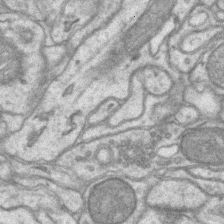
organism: Mouse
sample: CA1 Hippocampus